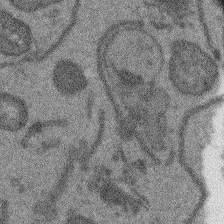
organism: Arabidopsis thaliana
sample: Root tip